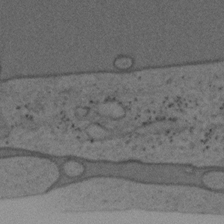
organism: Human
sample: HeLa cells